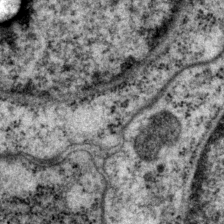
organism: P. pacificus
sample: Pharynx